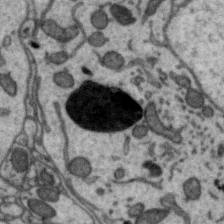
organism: Zebra finch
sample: Brain